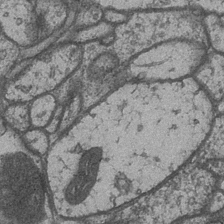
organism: Drosophila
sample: Optic medulla